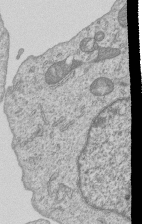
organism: Human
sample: MDA-MB-231 cells